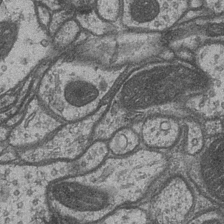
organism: Drosophila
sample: Optic medulla